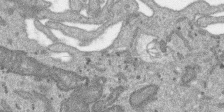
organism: Human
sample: Lung epithelial cells infected with SARS-CoV-2